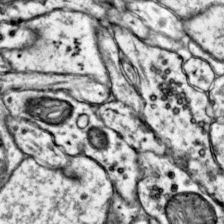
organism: Mouse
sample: Primary visual cortex